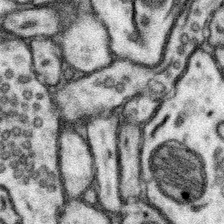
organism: Mouse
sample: Somatosensory cortex neuropil